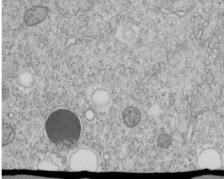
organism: C. elegans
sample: C. elegans embryo early stage